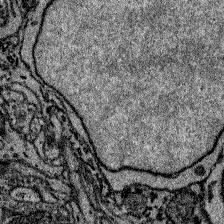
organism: Zebrafish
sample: Larval olfactory bulb